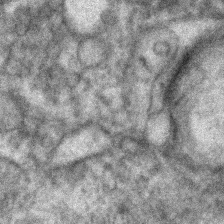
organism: Human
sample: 1205lu cells